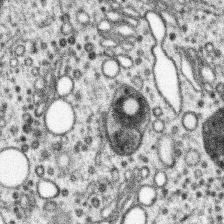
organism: Human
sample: HeLa cells